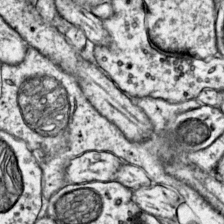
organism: Mouse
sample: Primary visual cortex